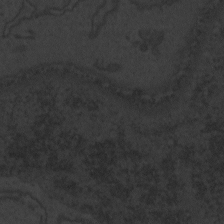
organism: Zebrafish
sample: Macrophage infected with Toxoplasma gondii